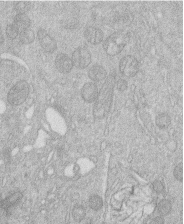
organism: Human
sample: Macrophage cells